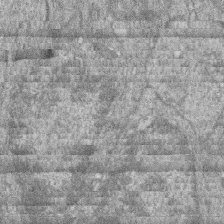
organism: Zebrafish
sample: Cilia; retinal pigment epithelium